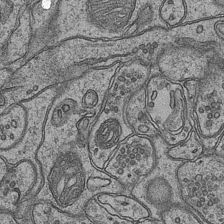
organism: Mouse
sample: CA1 Hippocampus